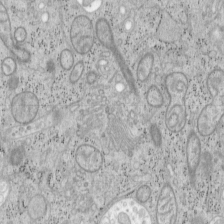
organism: Mouse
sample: OT-I killer T cells with ID8 ovarian cancer cells